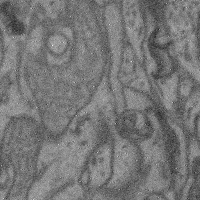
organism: Mouse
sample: Cerebral cortex